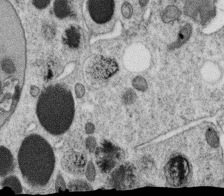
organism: C. elegans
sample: C. elegans oocyte; sperm cells